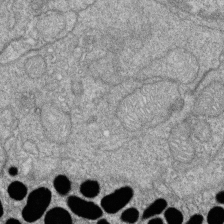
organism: Zebrafish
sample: Cilia; retinal pigment epithelium